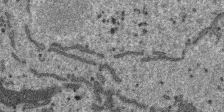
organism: Human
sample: Lung epithelial cells infected with SARS-CoV-2